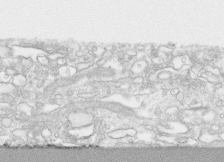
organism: Human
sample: CRL-1474